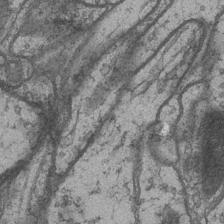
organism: Drosophila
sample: Optic medulla